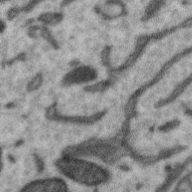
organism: Zebra finch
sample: Brain